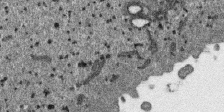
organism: Human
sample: Lung epithelial cells infected with SARS-CoV-2